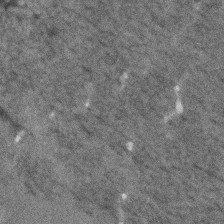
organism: Human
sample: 1205lu cells